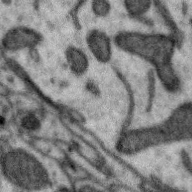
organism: Zebra finch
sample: Brain